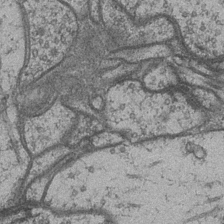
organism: Drosophila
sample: Optic medulla